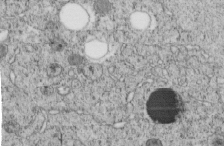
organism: C. elegans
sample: C. elegans embryo early stage